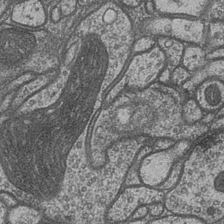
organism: Drosophila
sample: Optic medulla